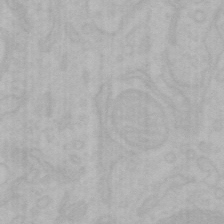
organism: Mouse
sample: Choroid plexus